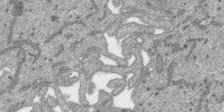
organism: Human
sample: Lung epithelial cells infected with SARS-CoV-2